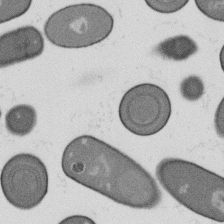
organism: B. subtilis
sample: Bacterial spore